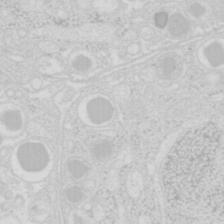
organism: Mouse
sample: Pancreas